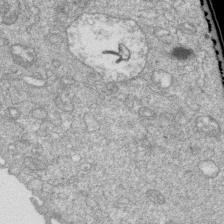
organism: Human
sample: HeLa cell HIV synapse